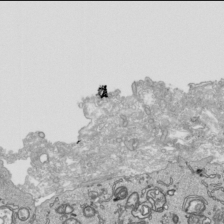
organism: Human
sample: Mitochondria in HCT116 cells